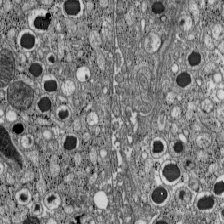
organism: C57BL Mouse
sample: Pancreatic islet